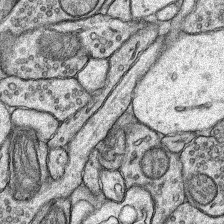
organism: Rat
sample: Hippocampus